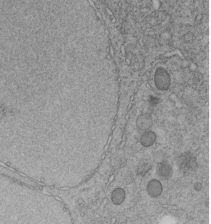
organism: C. elegans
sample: C. elegans embryo early stage